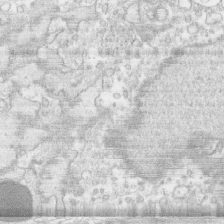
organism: Human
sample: CRL-1474